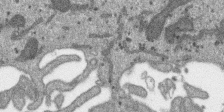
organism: Human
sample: Lung epithelial cells infected with SARS-CoV-2